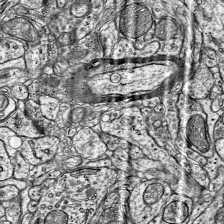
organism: Mouse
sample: Visual Cortex